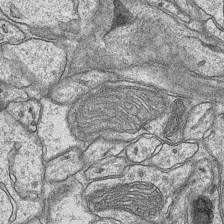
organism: Mouse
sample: CA1 Hippocampus